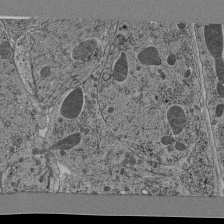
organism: C. elegans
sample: C. elegans pharynx